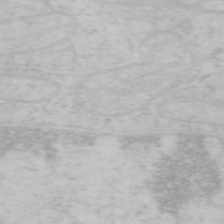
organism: Mouse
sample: OT-I killer T cells with ID8 ovarian cancer cells